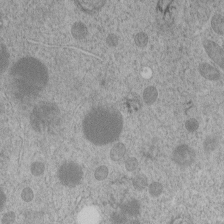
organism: C. elegans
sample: C. elegans embryo early stage